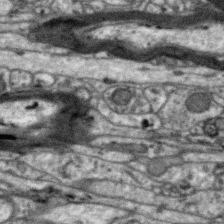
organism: Zebra finch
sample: Brain